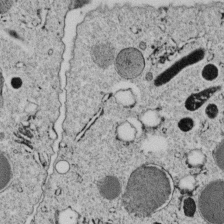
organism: C. elegans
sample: C. elegans embryo early stage